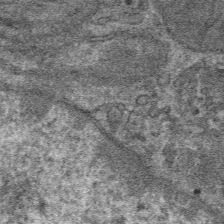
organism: Mouse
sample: Mouse hepatocytes